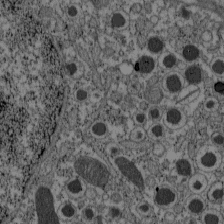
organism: C57BL Mouse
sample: Pancreatic islet